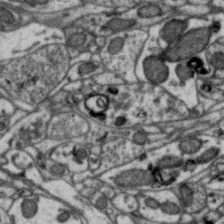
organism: Zebra finch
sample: Brain